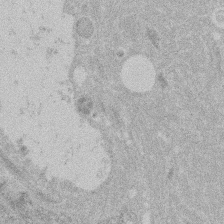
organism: Mouse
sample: Dividing mouse embryo 1 cell stage